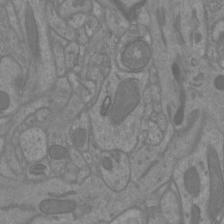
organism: Mouse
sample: Cortical neurons